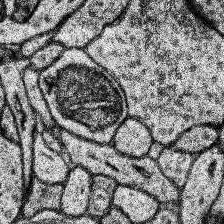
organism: Human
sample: Temporal Lobe